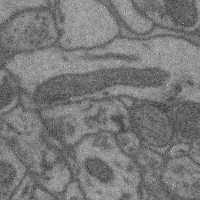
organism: Mouse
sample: Cerebral cortex